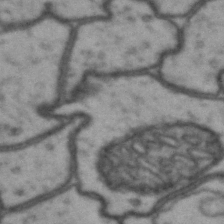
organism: Drosophila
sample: Brain